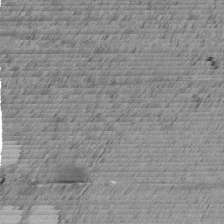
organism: C. elegans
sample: C. elegans embryo early stage